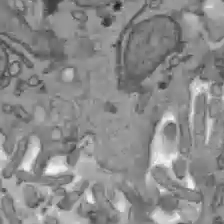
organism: C57BL Mouse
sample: Liver